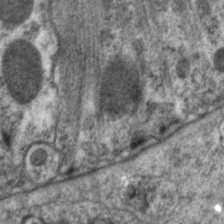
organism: C. elegans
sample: Pharynx